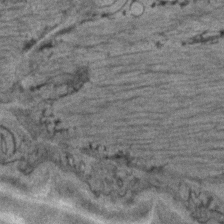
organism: C. elegans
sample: C. elegans embryo